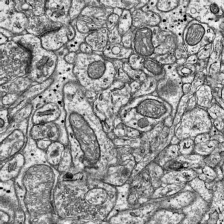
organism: Mouse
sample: Visual Cortex